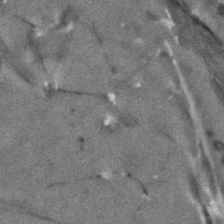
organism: Human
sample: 1205lu cells